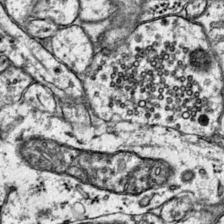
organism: Mouse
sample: Primary visual cortex